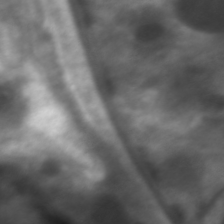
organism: C. elegans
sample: Pharynx